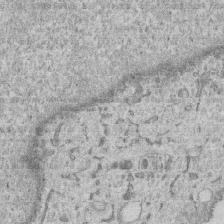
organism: Human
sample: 1205lu cells